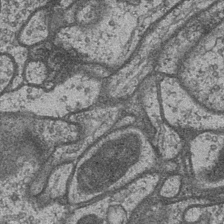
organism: Drosophila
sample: Optic medulla